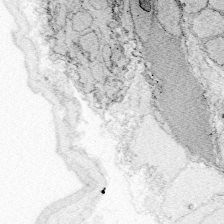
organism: Zebrafish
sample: Whole-Brain